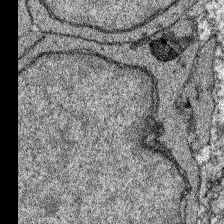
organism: Zebrafish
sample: Larval olfactory bulb